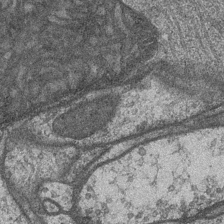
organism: Drosophila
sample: Optic medulla